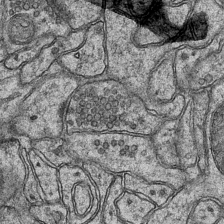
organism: Mouse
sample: CA1 Hippocampus